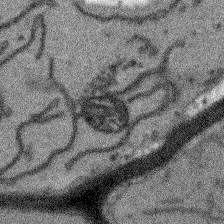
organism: Arabidopsis thaliana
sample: Root tip